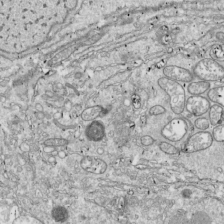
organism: Drosophila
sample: Cell division; meiosis; drosophila spermatocytes